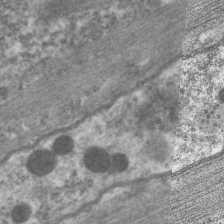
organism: C. elegans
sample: Pharynx